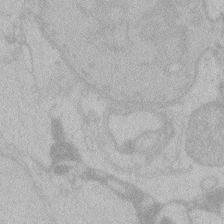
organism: Zebrafish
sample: Macrophage infected with Toxoplasma gondii